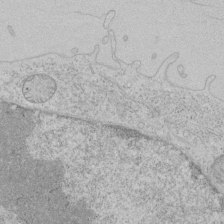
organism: Human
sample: Mitochondria in HCT116 cells